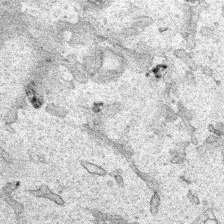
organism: Human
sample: Mitochondria in HCT116 cells